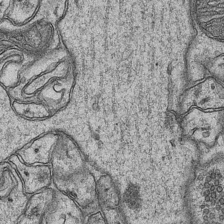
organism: Mouse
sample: CA1 Hippocampus